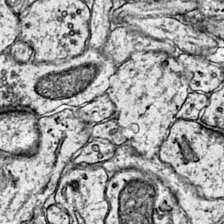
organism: Mouse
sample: Primary visual cortex